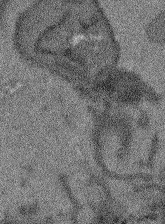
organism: Arabidopsis thaliana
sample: Root tip